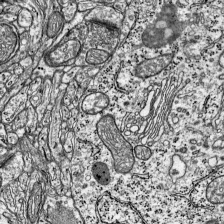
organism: Mouse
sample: Visual Cortex